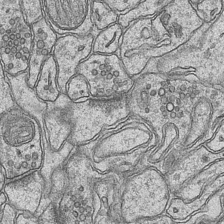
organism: Mouse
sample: CA1 Hippocampus